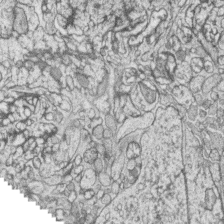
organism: Zebrafish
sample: synaptic ribbons in rod cells and cone cells